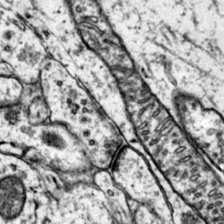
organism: Mouse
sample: Primary visual cortex